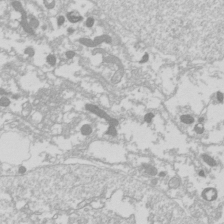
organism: Drosophila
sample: Cell division; meiosis; drosophila spermatocytes